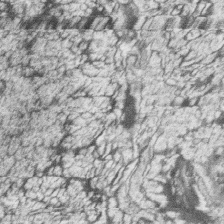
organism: Zebrafish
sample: synaptic ribbons in rod cells and cone cells